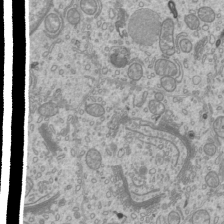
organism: Mouse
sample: Cilia; mouse epididymis